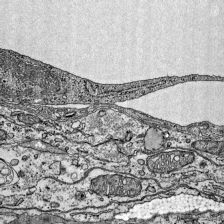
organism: Mouse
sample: Visual Cortex